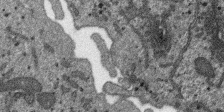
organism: Human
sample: Lung epithelial cells infected with SARS-CoV-2